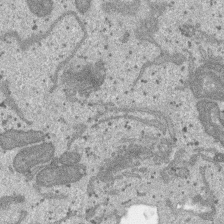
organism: Human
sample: Lung epithelial cells infected with SARS-CoV-2